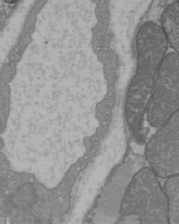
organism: C57BL Mouse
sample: Heart